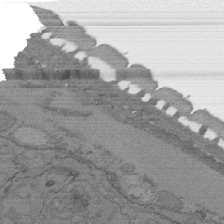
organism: C. elegans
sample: AFD neurons C. elegans